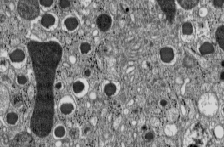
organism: C57BL Mouse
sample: Pancreatic islet